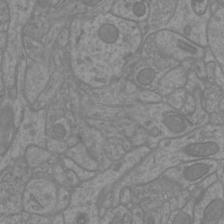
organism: Mouse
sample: Cortical neurons